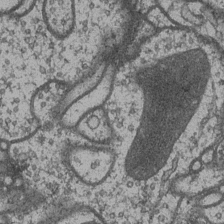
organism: Drosophila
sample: Optic medulla